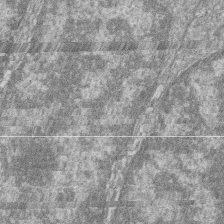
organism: Zebrafish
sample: Cilia; retinal pigment epithelium